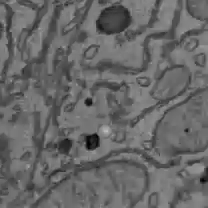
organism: C57BL Mouse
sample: Liver